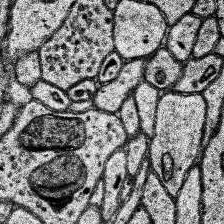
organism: Human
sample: Temporal Lobe